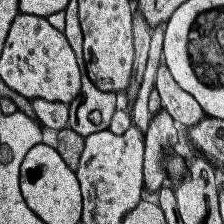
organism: Human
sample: Temporal Lobe